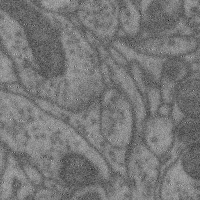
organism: Mouse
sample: Cerebral cortex